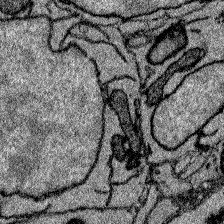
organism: Zebrafish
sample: Larval olfactory bulb